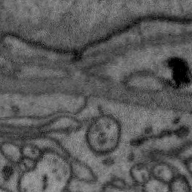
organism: Zebra finch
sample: Brain